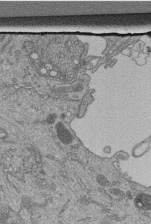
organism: Human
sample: Retinal organoid Rod and Cone cells